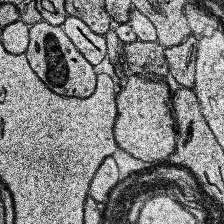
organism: Human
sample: Temporal Lobe